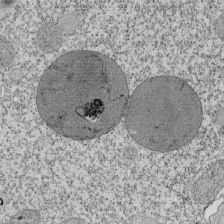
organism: Tetrahymena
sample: Cilia in tetrahymena